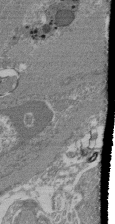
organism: Mouse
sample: Glomerulus